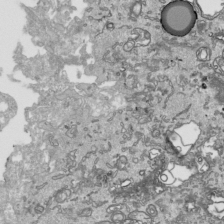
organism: Human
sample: Mitochondria in HCT116 cells